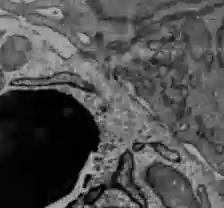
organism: C57BL Mouse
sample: Liver